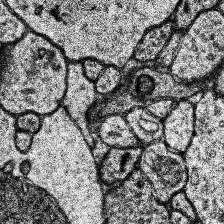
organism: Human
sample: Temporal Lobe